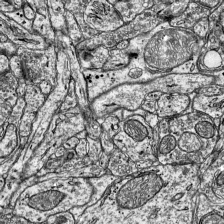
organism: Mouse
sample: Visual Cortex